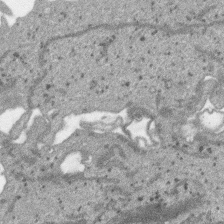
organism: Human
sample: Lung epithelial cells infected with SARS-CoV-2